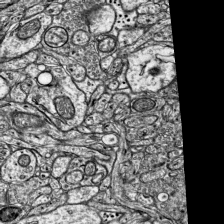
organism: Mouse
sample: Visual Cortex